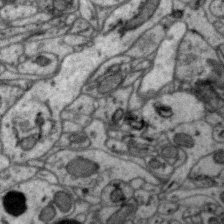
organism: Zebra finch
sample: Brain